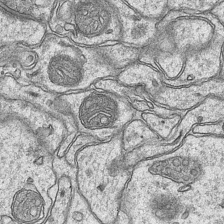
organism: Mouse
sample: CA1 Hippocampus